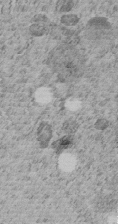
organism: C. elegans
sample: C. elegans embryo early stage